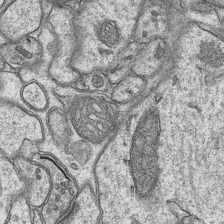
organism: Mouse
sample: CA1 Hippocampus